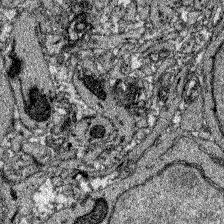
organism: Zebrafish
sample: Larval olfactory bulb